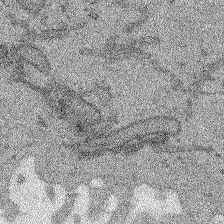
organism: Human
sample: HeLa cells